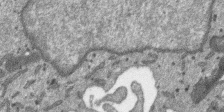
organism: Human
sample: Lung epithelial cells infected with SARS-CoV-2